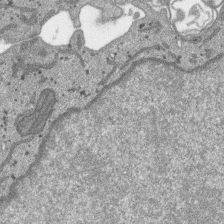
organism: Human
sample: Lung epithelial cells infected with SARS-CoV-2